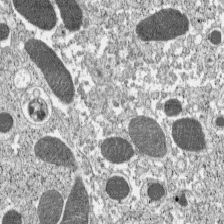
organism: C57BL Mouse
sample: Pancreatic islet